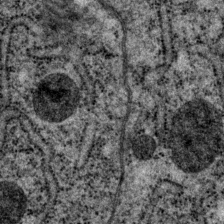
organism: P. pacificus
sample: Pharynx